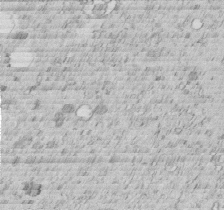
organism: C. elegans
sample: C. elegans embryo early stage